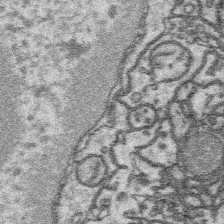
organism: Platynereis dumerilii